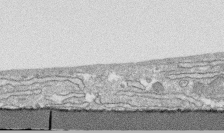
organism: Human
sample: CRL-1474